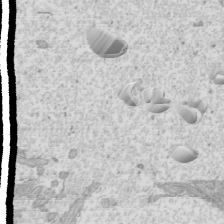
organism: Mouse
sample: Cilia; mouse epididymis